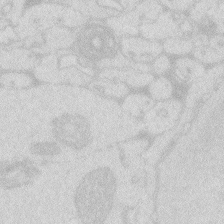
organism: Zebrafish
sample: Macrophage